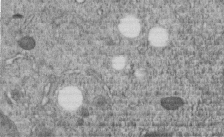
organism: C. elegans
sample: C. elegans embryo early stage